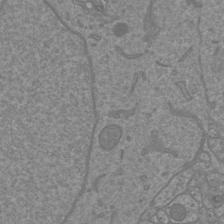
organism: Mouse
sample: Cortical neurons